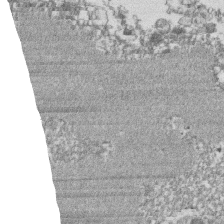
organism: Human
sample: HeLa cell HIV synapse